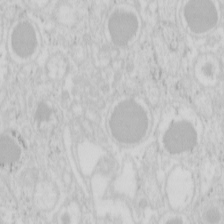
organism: Mouse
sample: Pancreas